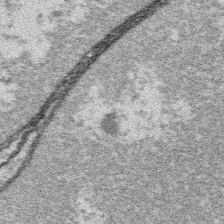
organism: Platynereis dumerilii